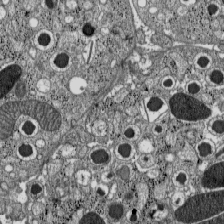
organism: C57BL Mouse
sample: Pancreatic islet